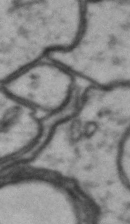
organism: Drosophila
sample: Brain